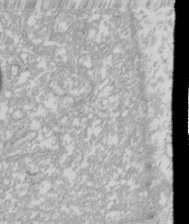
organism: Xenopus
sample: Cilia; centrioles in frog embryo cells